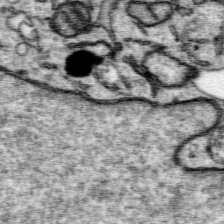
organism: Human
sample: HeLa cells